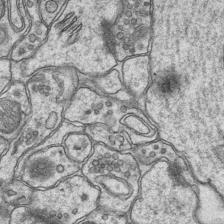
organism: Mouse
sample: CA1 Hippocampus